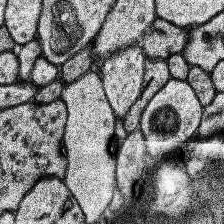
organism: Human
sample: Temporal Lobe